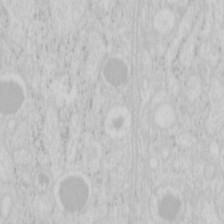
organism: Mouse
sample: Pancreas